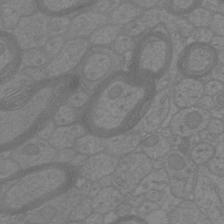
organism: Mouse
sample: Cortical neurons